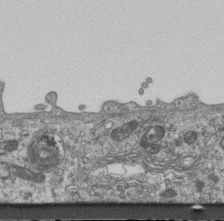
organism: Mouse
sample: Centriole in ependymal cells